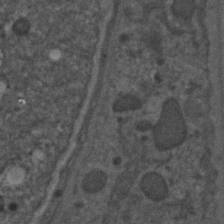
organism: C. elegans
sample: C. elegans embryo